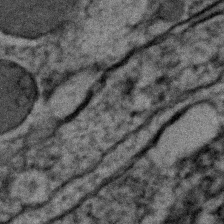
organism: C. elegans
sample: C. elegans embryo